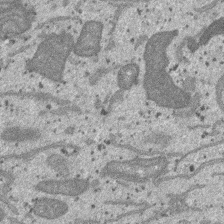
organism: Human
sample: Lung epithelial cells infected with SARS-CoV-2